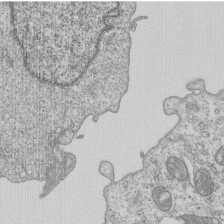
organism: Human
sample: MDA-MB-231 cells